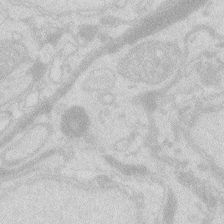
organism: Zebrafish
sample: Macrophage